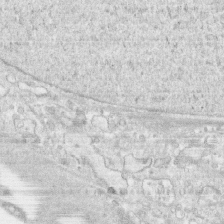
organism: Human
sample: CRL-1474